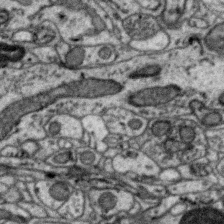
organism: Zebra finch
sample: Brain